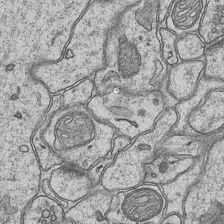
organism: Mouse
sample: CA1 Hippocampus